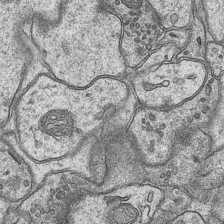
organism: Mouse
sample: CA1 Hippocampus